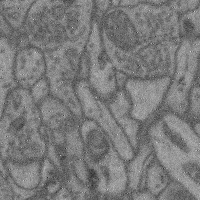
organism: Mouse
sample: Cerebral cortex